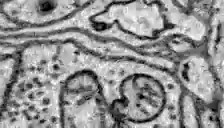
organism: Zebrafish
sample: Brain